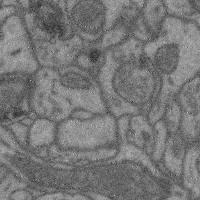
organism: Mouse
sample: Cerebral cortex